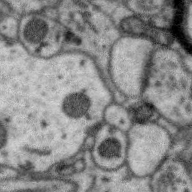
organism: Zebra finch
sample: Brain